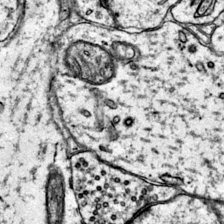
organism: Mouse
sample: Primary visual cortex